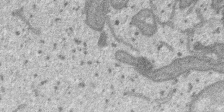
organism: Human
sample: Lung epithelial cells infected with SARS-CoV-2